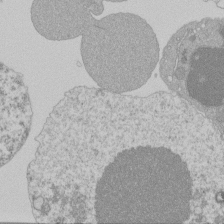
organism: Mouse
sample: Activated Pmel transgenic CD8+ T Cells